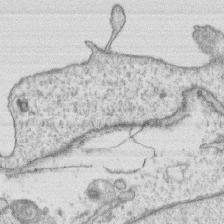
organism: Human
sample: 1205lu cells